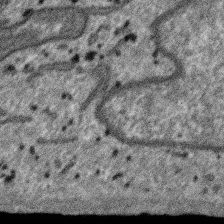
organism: Human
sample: Lung epithelial cells infected with SARS-CoV-2